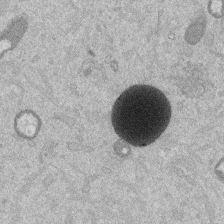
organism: Mouse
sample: Dividing mouse embryo 1 cell stage